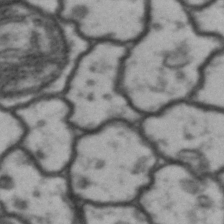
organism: Drosophila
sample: Brain